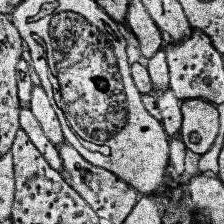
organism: Human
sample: Temporal Lobe